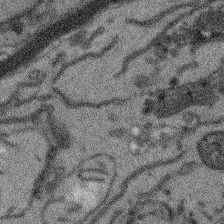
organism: Arabidopsis thaliana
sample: Root tip